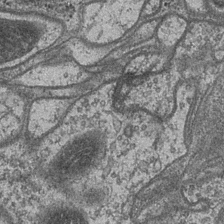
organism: Drosophila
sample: Optic medulla